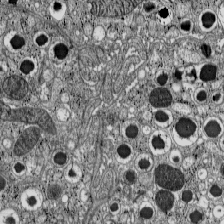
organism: C57BL Mouse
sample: Pancreatic islet